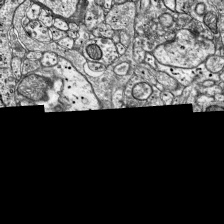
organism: Mouse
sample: Visual Cortex